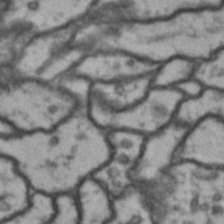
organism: Drosophila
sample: Brain